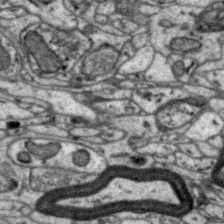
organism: Zebra finch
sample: Brain